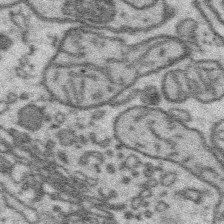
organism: Platynereis dumerilii